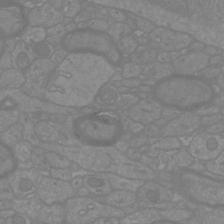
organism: Mouse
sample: Cortical neurons